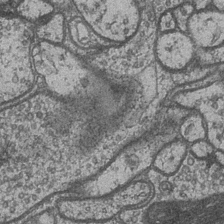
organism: Drosophila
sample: Optic medulla